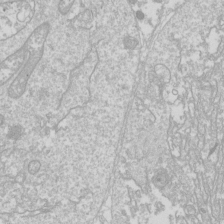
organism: Drosophila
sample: Cell division; meiosis; drosophila spermatocytes